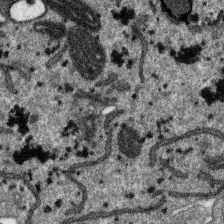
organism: Human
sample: Lung epithelial cells infected with SARS-CoV-2